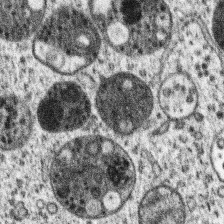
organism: Human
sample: HeLa cells